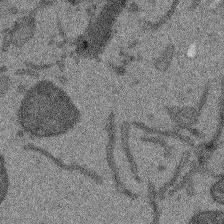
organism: Arabidopsis thaliana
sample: Root tip